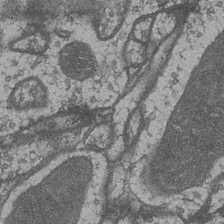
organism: Drosophila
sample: Optic medulla